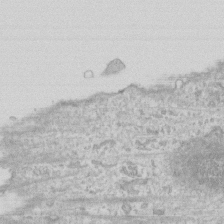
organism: Human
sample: Fibroblast cells